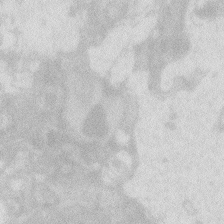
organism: Zebrafish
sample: Macrophage